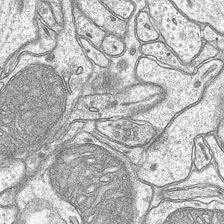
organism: Mouse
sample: CA1 Hippocampus